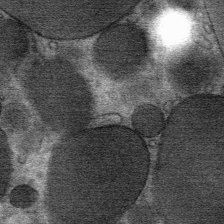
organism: Mouse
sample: Mouse Salivary gland